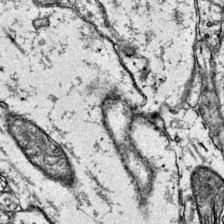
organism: Mouse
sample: Primary visual cortex